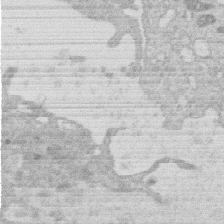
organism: Human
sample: Macrophage cells